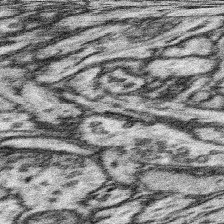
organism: Mouse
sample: Somatosensory cortex neuropil